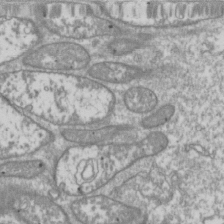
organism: Drosophila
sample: Cell division; meiosis; drosophila spermatocytes